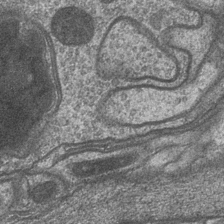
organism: Drosophila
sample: Optic medulla